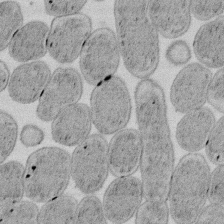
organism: E. coli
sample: Bacterial nucleoid